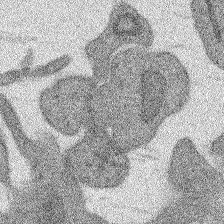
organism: Human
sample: HeLa cells